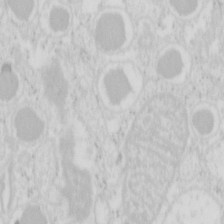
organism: Mouse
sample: Pancreas